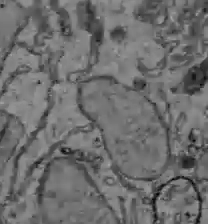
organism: C57BL Mouse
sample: Liver